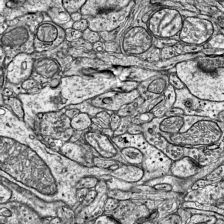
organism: Mouse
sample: Visual Cortex